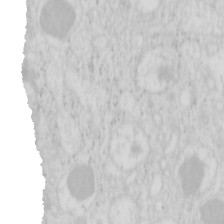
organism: Mouse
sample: Pancreas